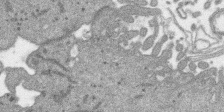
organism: Human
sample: Lung epithelial cells infected with SARS-CoV-2